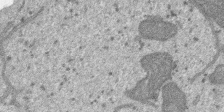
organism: Human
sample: Lung epithelial cells infected with SARS-CoV-2